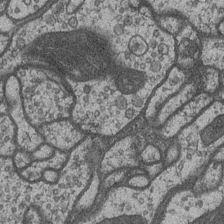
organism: Drosophila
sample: Optic medulla